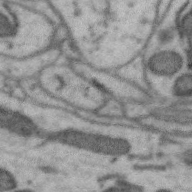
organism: Zebra finch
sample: Brain